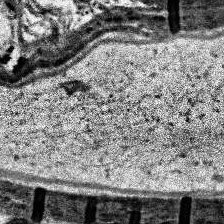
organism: Human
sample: Temporal Lobe